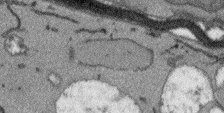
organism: Arabidopsis thaliana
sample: Root tip